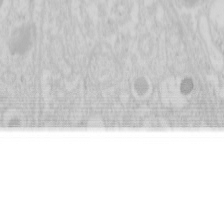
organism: Mouse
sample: Pancreas